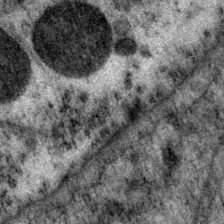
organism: P. pacificus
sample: Pharynx